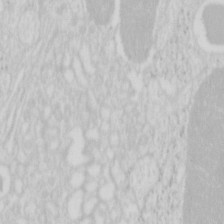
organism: Mouse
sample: Pancreas